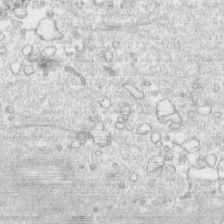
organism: Human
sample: CRL-1474